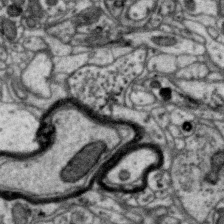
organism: Zebra finch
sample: Brain